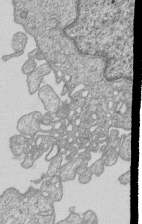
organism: Human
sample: MDA-MB-231 cells